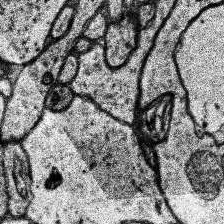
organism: Human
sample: Temporal Lobe